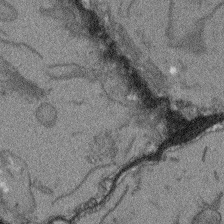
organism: Arabidopsis thaliana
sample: Root tip